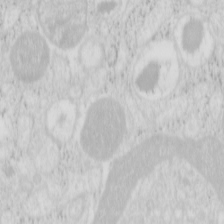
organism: Mouse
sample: Pancreas